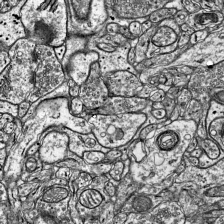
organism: Mouse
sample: Visual Cortex